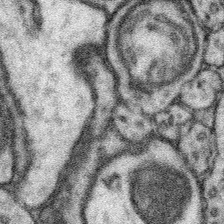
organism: Mouse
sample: Somatosensory cortex neuropil